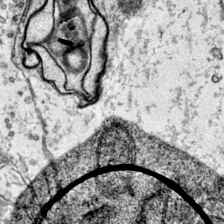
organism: Mouse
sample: Primary visual cortex